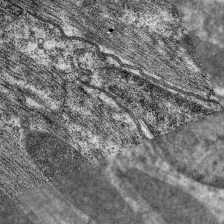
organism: C. elegans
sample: Pharynx